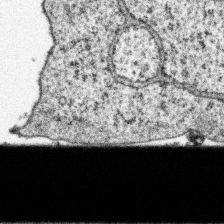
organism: Human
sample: HeLa cells